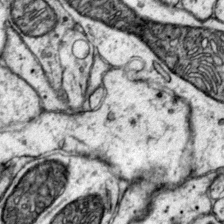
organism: Mouse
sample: Primary visual cortex